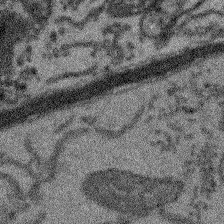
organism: Arabidopsis thaliana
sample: Root tip